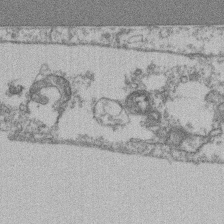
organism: Mouse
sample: T cell stromal cell synapse